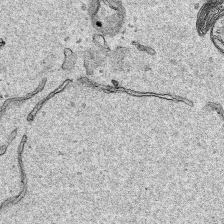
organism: Human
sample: Mitochondria in HCT116 cells